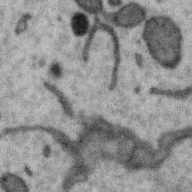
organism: Zebra finch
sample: Brain